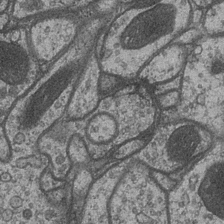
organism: Drosophila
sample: Optic medulla